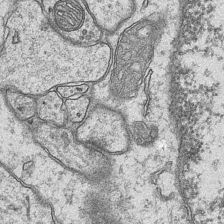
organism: Mouse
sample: CA1 Hippocampus